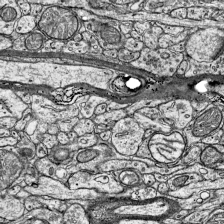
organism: Mouse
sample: Visual Cortex